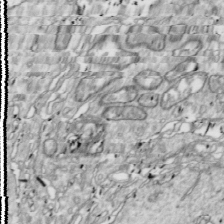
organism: Drosophila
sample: Cell division; meiosis; drosophila spermatocytes